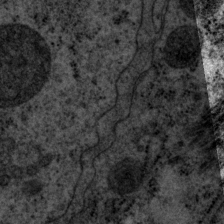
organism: P. pacificus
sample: Pharynx